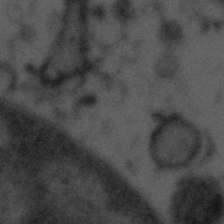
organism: Tuwongella immobilis